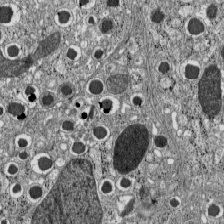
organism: C57BL Mouse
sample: Pancreatic islet